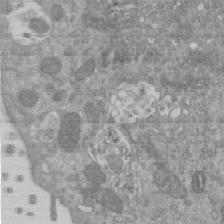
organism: Mouse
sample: ED-1 cell nuclei; centrioles